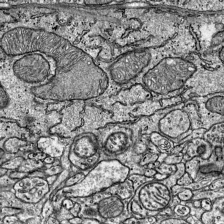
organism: Mouse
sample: Visual Cortex